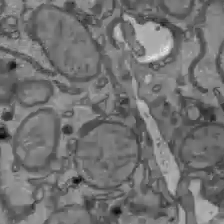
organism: C57BL Mouse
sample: Liver